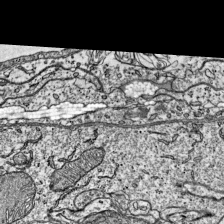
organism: Mouse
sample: Visual Cortex